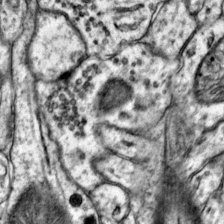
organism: Mouse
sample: Primary visual cortex